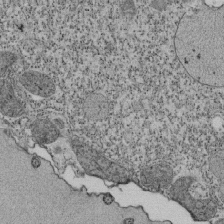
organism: Tetrahymena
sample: Cilia in tetrahymena